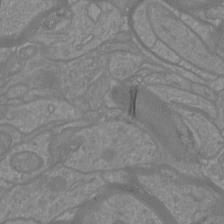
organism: Mouse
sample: Cortical neurons